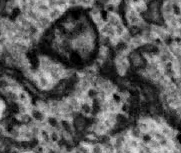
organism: Human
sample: HeLa cells